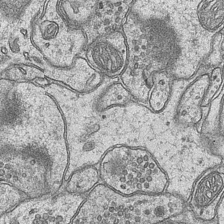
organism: Mouse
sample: CA1 Hippocampus